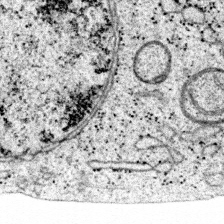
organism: Human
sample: HeLa cells